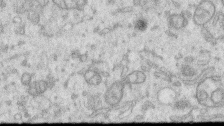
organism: Human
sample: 1205lu cells